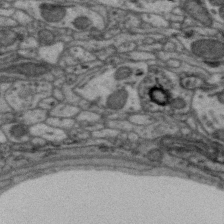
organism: Zebra finch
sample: Brain